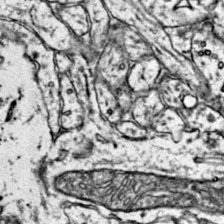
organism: Mouse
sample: Primary visual cortex